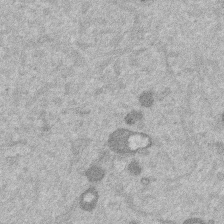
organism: Mouse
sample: Dividing mouse embryo 1 cell stage